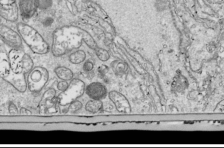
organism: Drosophila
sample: Cell division; meiosis; drosophila spermatocytes